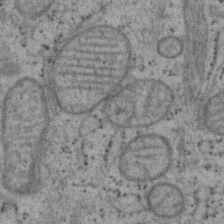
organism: Human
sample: HeLa cells